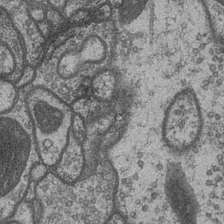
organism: Drosophila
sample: Optic medulla